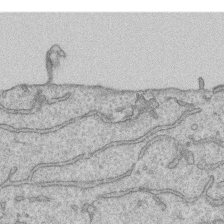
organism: Human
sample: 1205lu cells